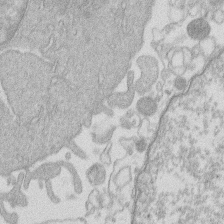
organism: Human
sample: Macrophage cells